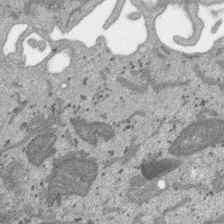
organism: Human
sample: Lung epithelial cells infected with SARS-CoV-2